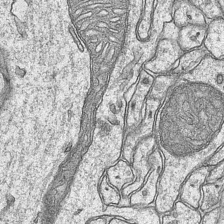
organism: Mouse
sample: CA1 Hippocampus